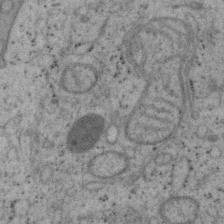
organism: Human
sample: HeLa cells